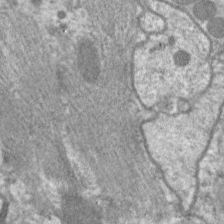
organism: C. elegans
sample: Pharynx